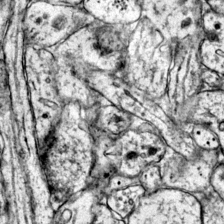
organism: Mouse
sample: Primary visual cortex